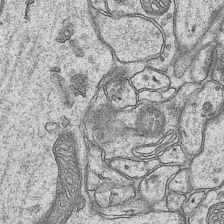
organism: Mouse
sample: CA1 Hippocampus